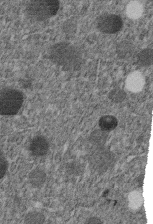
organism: C. elegans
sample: C. elegans embryo early stage